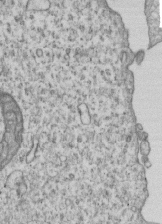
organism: Human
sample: MDA-MB-231 cells